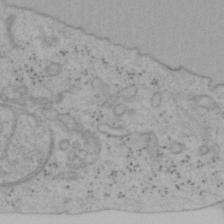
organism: Human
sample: HeLa cells